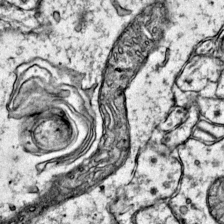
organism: Mouse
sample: Primary visual cortex